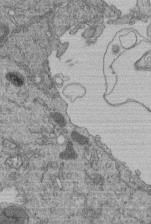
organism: Human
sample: Retinal organoid Rod and Cone cells